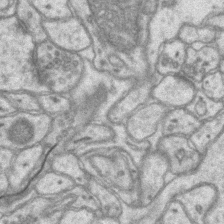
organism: Mouse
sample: CA1 Hippocampus